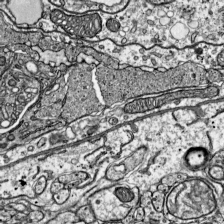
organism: Mouse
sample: Visual Cortex